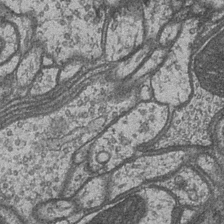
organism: Drosophila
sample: Optic medulla